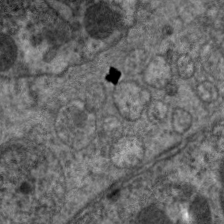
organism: C. elegans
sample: Pharynx